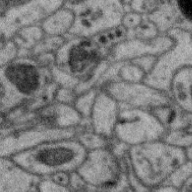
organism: Zebra finch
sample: Brain